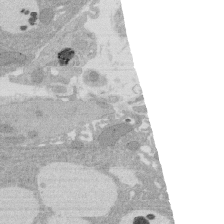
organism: Rat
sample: Salivary granule